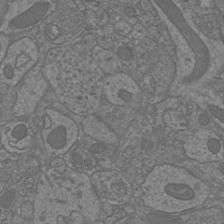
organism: Mouse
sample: Cortical neurons